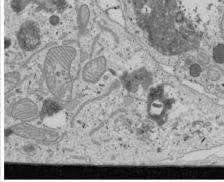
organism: Human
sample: Mitochondria in U2OS cells